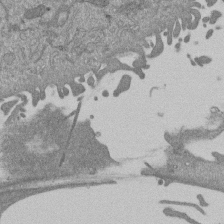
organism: Mouse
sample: ED-1 cell nuclei; centrioles